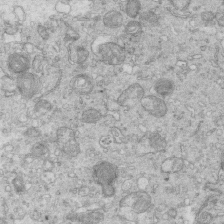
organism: Mouse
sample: Multiciliated cells